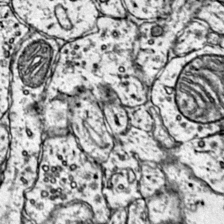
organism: Mouse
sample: Primary visual cortex